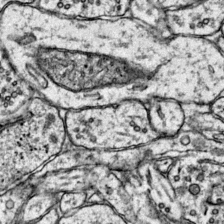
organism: Mouse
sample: Primary visual cortex